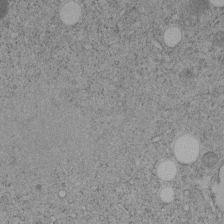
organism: C. elegans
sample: C. elegans embryo early stage